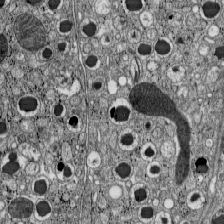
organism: C57BL Mouse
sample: Pancreatic islet